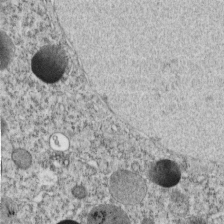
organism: C. elegans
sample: C. elegans embryo early stage